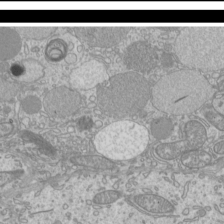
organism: Mouse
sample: Cilia; mouse epididymis